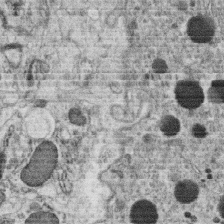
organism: C. elegans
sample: C. elegans oocyte; sperm cells